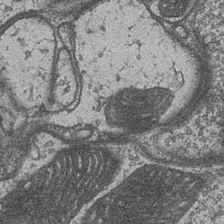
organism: Drosophila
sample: Optic medulla